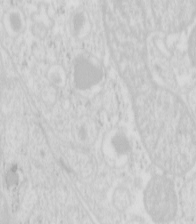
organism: Mouse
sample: Pancreas